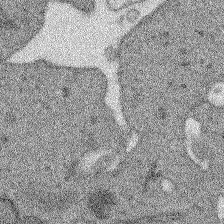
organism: Human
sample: HeLa cells